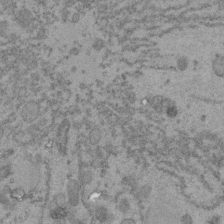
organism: C. elegans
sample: C. elegans embryo early stage